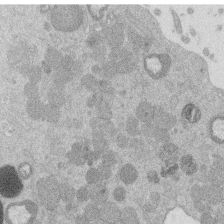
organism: Mouse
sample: Dividing mouse embryo 1 cell stage